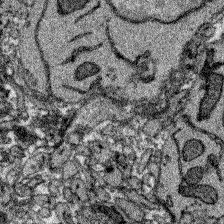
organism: Zebrafish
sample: Larval olfactory bulb